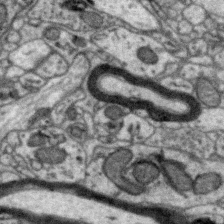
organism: Zebra finch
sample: Brain